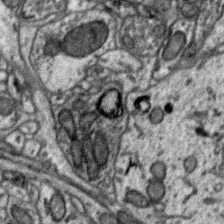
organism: Zebra finch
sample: Brain